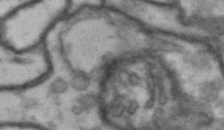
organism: Drosophila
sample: Brain